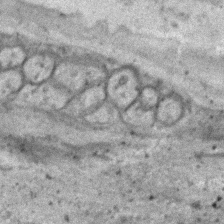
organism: C. elegans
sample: C. elegans embryo